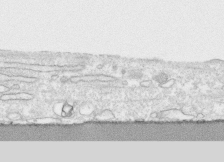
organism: Human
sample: CRL-1474